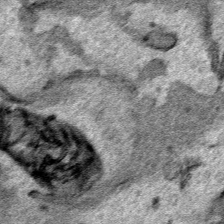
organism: Human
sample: Mitochondria in HCT116 cells